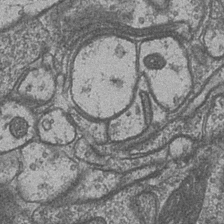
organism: Drosophila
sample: Optic medulla